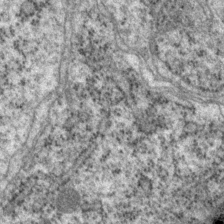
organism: P. pacificus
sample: Pharynx